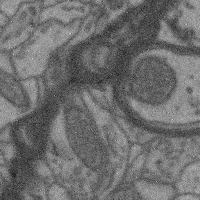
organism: Mouse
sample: Cerebral cortex